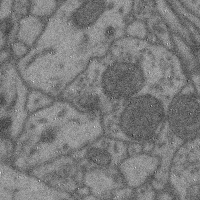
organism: Mouse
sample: Cerebral cortex